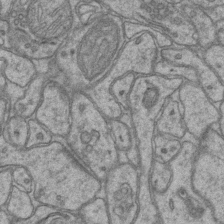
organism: Mouse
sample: CA1 Hippocampus